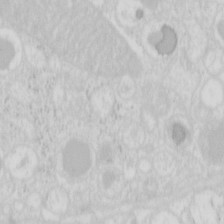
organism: Mouse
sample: Pancreas